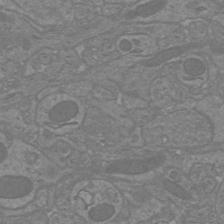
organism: Mouse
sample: Cortical neurons